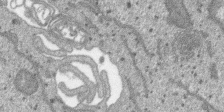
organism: Human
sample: Lung epithelial cells infected with SARS-CoV-2